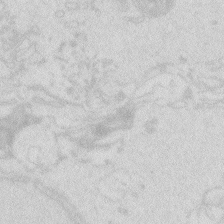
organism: Zebrafish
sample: Macrophage